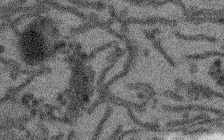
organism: Arabidopsis thaliana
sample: Root tip